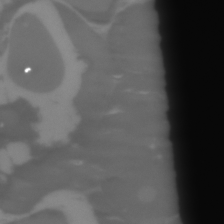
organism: Zebrafish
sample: Zebrafish embryo